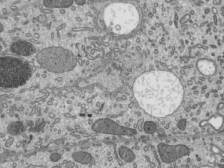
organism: Mouse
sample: Mouse epididymis efferent ductule cilia